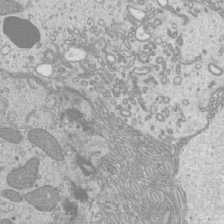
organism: Mouse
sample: Cilia; mouse epididymis